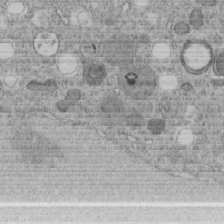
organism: C. elegans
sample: C. elegans embryo early stage